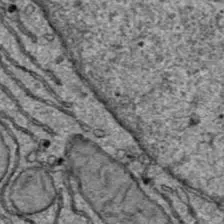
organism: C57BL Mouse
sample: Liver